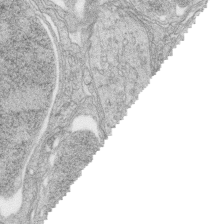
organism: Zebrafish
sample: synaptic ribbons in rod cells and cone cells